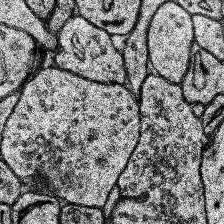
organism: Human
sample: Temporal Lobe